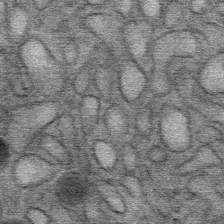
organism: Mouse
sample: Mouse Salivary gland